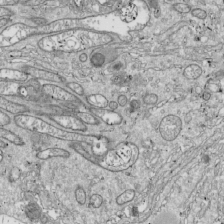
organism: Drosophila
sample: Cell division; meiosis; drosophila spermatocytes